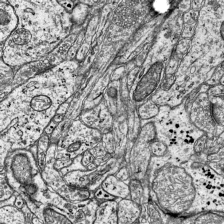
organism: Mouse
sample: Visual Cortex